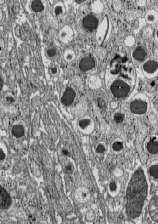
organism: C57BL Mouse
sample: Pancreatic islet